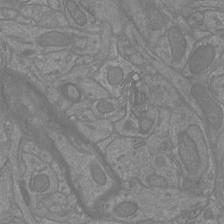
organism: Mouse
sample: Cortical neurons